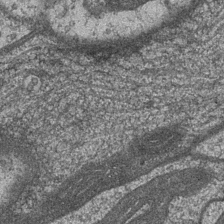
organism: Drosophila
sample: Optic medulla